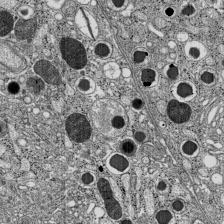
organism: C57BL Mouse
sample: Pancreatic islet